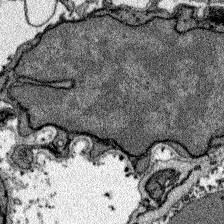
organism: Zebrafish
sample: Larval olfactory bulb